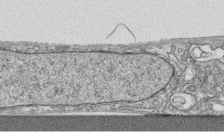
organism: Human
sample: CRL-1474